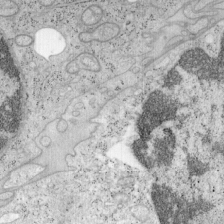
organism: Mouse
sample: OT-I killer T cells with ID8 ovarian cancer cells